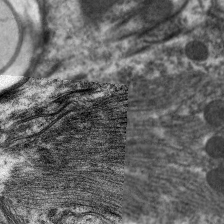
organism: C. elegans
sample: Pharynx